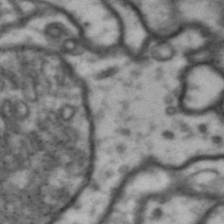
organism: Drosophila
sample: Brain